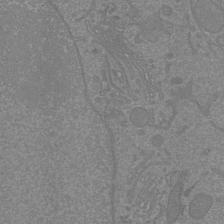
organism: Mouse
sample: Cortical neurons